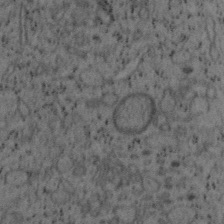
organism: Human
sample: HeLa cells